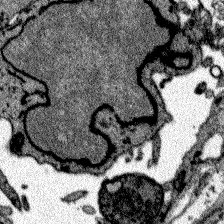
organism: Zebrafish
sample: Larval olfactory bulb